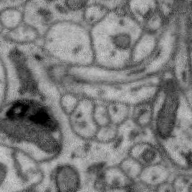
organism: Zebra finch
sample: Brain